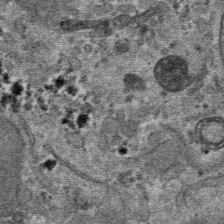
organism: Mouse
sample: Mouse hepatocytes